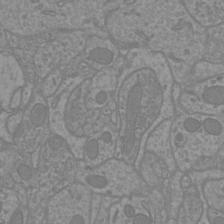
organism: Mouse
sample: Cortical neurons